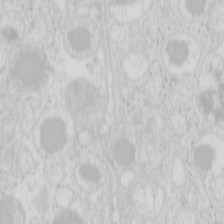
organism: Mouse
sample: Pancreas